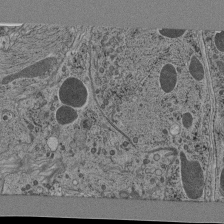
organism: C. elegans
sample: C. elegans pharynx